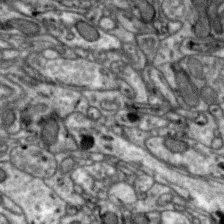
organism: Zebra finch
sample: Brain